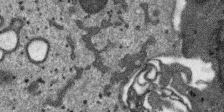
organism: Human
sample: Lung epithelial cells infected with SARS-CoV-2